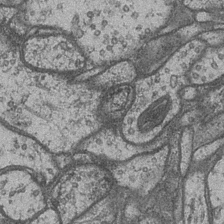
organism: Drosophila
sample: Optic medulla